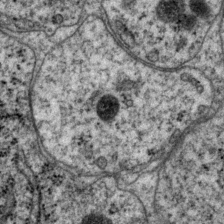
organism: P. pacificus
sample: Pharynx